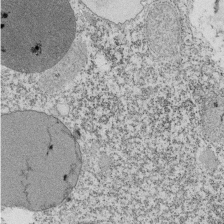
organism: Tetrahymena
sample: Cilia in tetrahymena